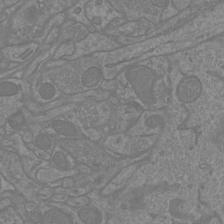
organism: Mouse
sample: Cortical neurons